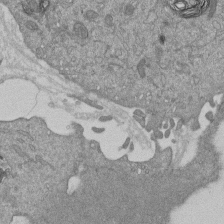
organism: Mouse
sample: ED-1 cell nuclei; centrioles